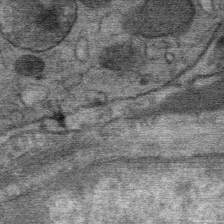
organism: Mouse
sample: Mouse Salivary gland